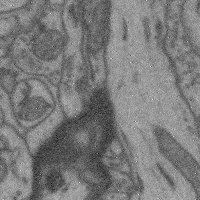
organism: Mouse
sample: Cerebral cortex